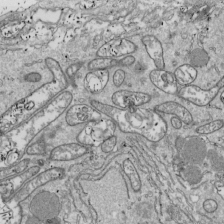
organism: Drosophila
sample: Cell division; meiosis; drosophila spermatocytes